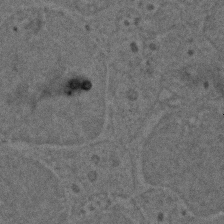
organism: Zebrafish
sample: Zebrafish embryo